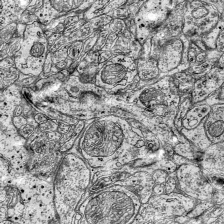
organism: Mouse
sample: Visual Cortex